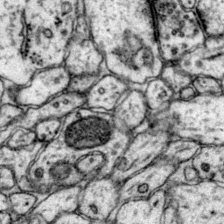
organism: Mouse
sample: Primary visual cortex